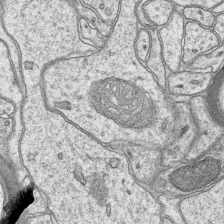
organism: Mouse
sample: CA1 Hippocampus